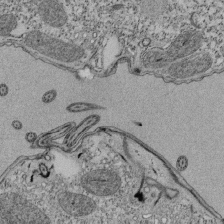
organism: Tetrahymena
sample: Cilia in tetrahymena